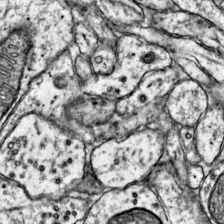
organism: Mouse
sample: Primary visual cortex